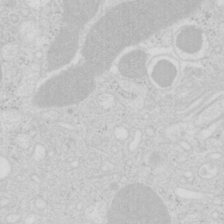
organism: Mouse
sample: Pancreas